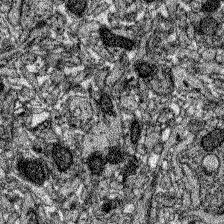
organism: Zebrafish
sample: Larval olfactory bulb